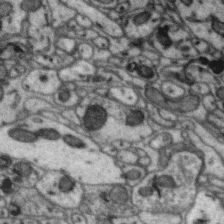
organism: Zebra finch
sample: Brain